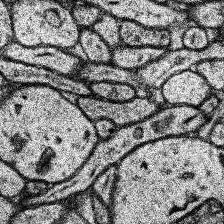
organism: Human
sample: Temporal Lobe